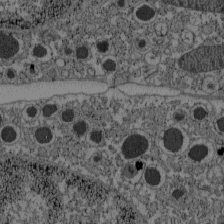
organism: C57BL Mouse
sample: Pancreatic islet